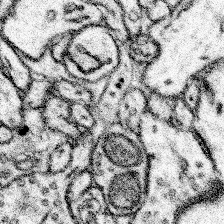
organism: Mouse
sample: Somatosensory cortex neuropil